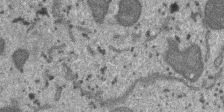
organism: Human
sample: Lung epithelial cells infected with SARS-CoV-2